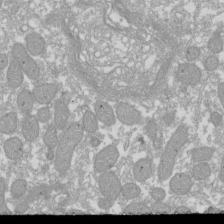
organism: Xenopus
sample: Cilia; centrioles in frog embryo cells